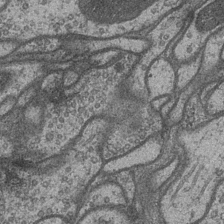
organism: Drosophila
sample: Optic medulla